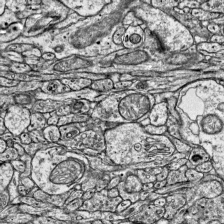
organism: Mouse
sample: Visual Cortex